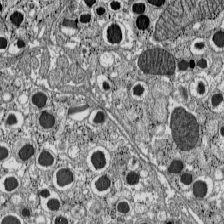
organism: C57BL Mouse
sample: Pancreatic islet